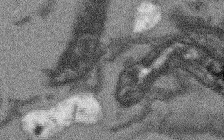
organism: Arabidopsis thaliana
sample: Root tip